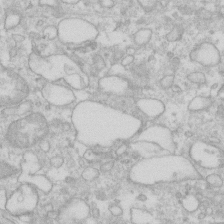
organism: Human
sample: Fibroblast cells